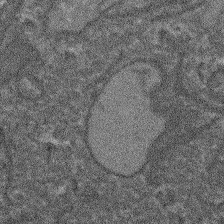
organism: Arabidopsis thaliana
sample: Root tip